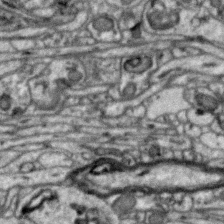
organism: Zebra finch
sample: Brain